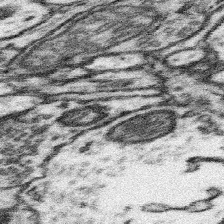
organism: Mouse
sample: Somatosensory cortex neuropil